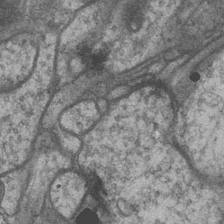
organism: Drosophila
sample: Optic medulla